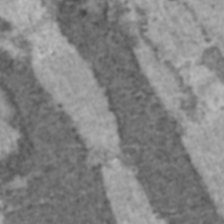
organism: C57BL Mouse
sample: Heart